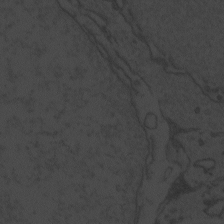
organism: Zebrafish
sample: Macrophage infected with Toxoplasma gondii